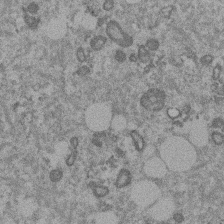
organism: Mouse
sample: Dividing mouse embryo 1 cell stage